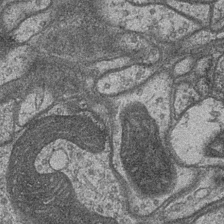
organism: Drosophila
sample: Optic medulla